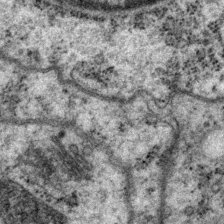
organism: P. pacificus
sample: Pharynx